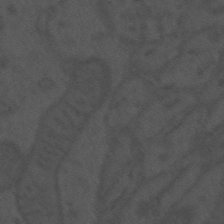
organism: Mouse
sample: Suprachiasmatic nucleus